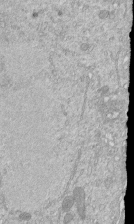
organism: Mouse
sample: ED-1 cell nuclei; centrioles